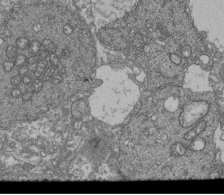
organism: Human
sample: Retinal organoid Rod and Cone cells